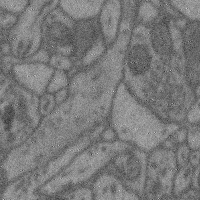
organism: Mouse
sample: Cerebral cortex